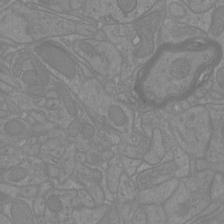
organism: Mouse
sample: Cortical neurons